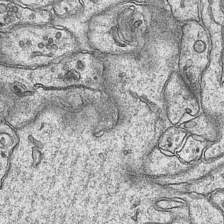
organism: Mouse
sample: CA1 Hippocampus